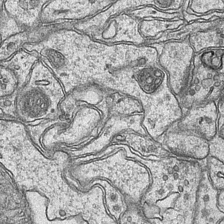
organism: Mouse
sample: CA1 Hippocampus